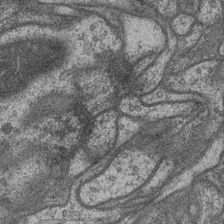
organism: Drosophila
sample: Optic medulla